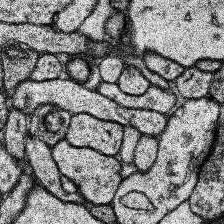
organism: Human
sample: Temporal Lobe